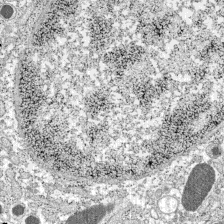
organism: C57BL Mouse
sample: Pancreatic islet